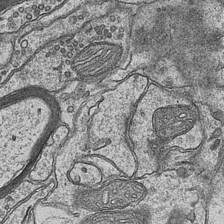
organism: Mouse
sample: CA1 Hippocampus